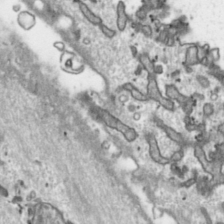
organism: Toxoplasma gondii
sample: Parasites in a vacuole inside a host cell